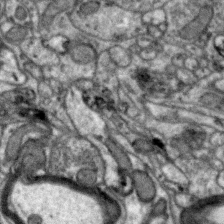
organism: Zebra finch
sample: Brain